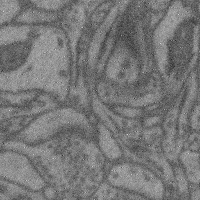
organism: Mouse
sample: Cerebral cortex